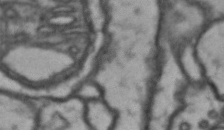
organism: Drosophila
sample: Brain